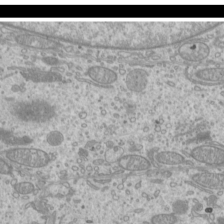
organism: Mouse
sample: Cilia; mouse epididymis